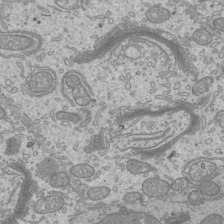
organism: Mouse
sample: Cilia; mouse epididymis